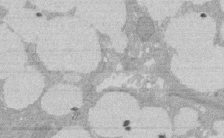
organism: Rat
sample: Salivary granule